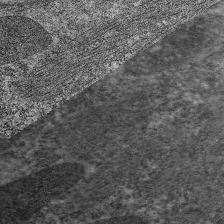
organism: C. elegans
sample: Pharynx